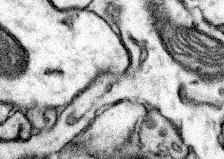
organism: Mouse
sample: Somatosensory cortex neuropil